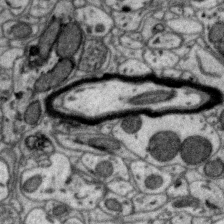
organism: Zebra finch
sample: Brain